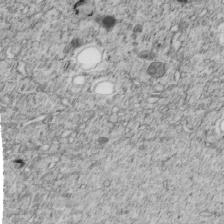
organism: C. elegans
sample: C. elegans embryo early stage